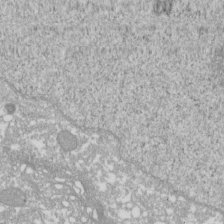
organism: Xenopus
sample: Cilia; centrioles in frog embryo cells